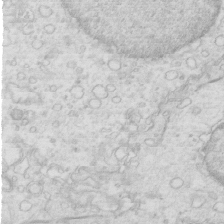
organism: Mouse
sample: Multiciliated cells